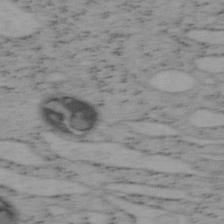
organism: Mouse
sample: OT-I killer T cells with ID8 ovarian cancer cells